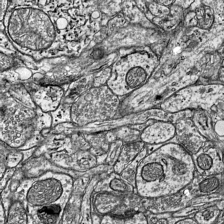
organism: Mouse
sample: Visual Cortex